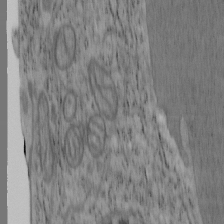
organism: Human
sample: HeLa cells